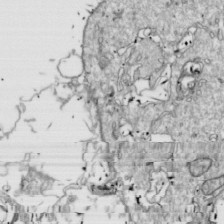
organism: Drosophila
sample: Cell division; meiosis; drosophila spermatocytes